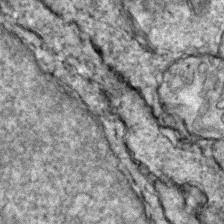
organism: Zebrafish